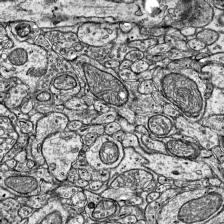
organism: Mouse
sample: Visual Cortex